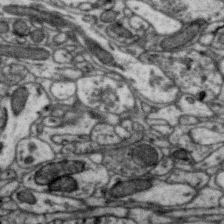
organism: Zebra finch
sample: Brain